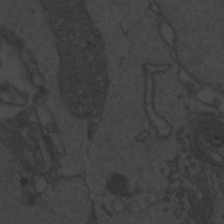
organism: Zebrafish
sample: Macrophage infected with Toxoplasma gondii